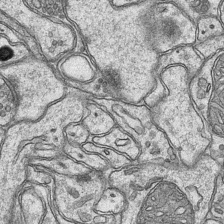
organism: Mouse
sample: CA1 Hippocampus